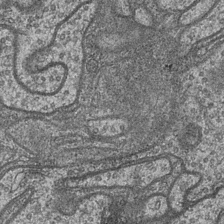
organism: Drosophila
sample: Optic medulla